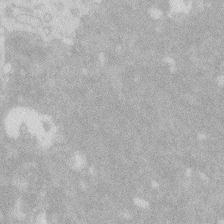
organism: Zebrafish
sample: Macrophage